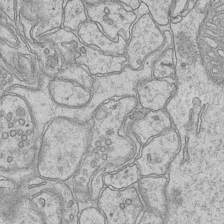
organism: Mouse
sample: CA1 Hippocampus